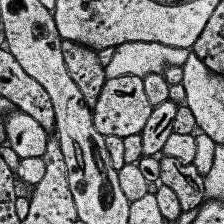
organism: Human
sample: Temporal Lobe